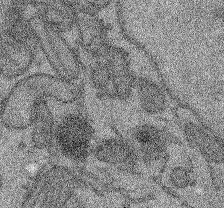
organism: Human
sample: HeLa cells